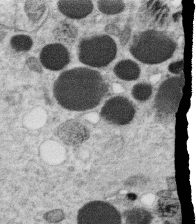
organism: C. elegans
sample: C. elegans oocyte; sperm cells